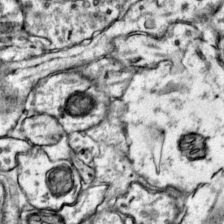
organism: Mouse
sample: Primary visual cortex